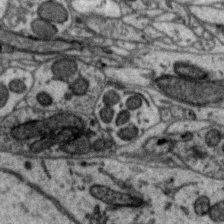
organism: Zebra finch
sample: Brain